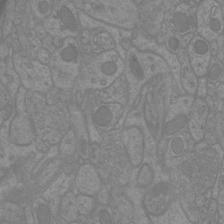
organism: Mouse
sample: Cortical neurons